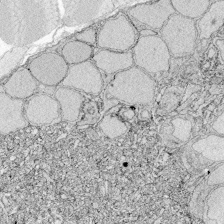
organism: Zebrafish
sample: Whole-Brain